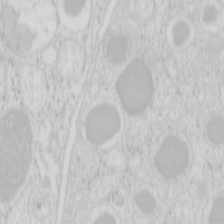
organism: Mouse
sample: Pancreas